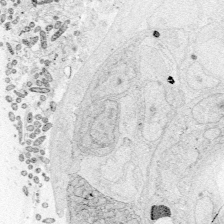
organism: Zebrafish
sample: Whole-Brain